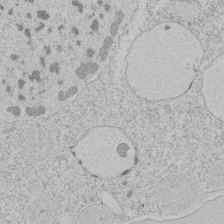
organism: Tetrahymena